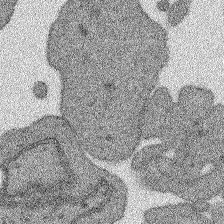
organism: Human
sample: HeLa cells